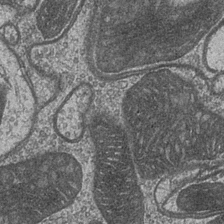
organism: Drosophila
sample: Optic medulla